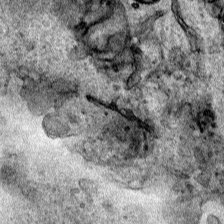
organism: Human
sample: Mitochondria in HCT116 cells